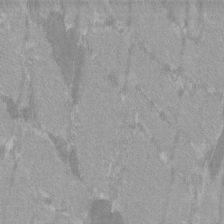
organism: C57BL Mouse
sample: Tibialis anterior muscle cell